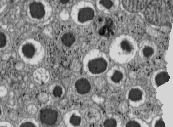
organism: C57BL Mouse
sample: Pancreatic islet